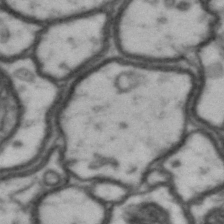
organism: Drosophila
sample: Brain